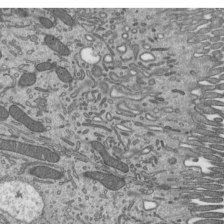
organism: Mouse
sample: Mouse epididymis efferent ductule cilia